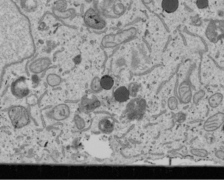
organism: Human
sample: Mitochondria in U2OS cells